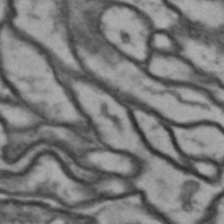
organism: Drosophila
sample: Brain